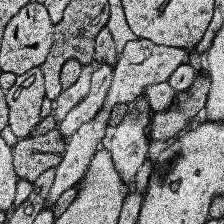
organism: Human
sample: Temporal Lobe